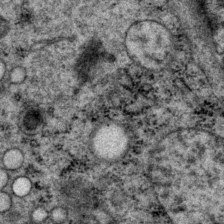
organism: P. pacificus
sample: Pharynx